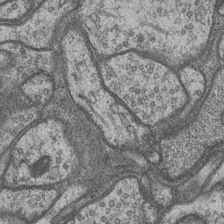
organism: Drosophila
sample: Optic medulla